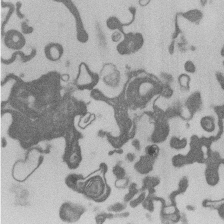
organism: Mouse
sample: Dividing mouse embryo 1 cell stage